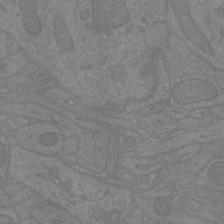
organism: Mouse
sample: Cortical neurons